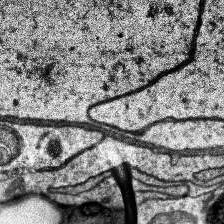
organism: Human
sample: Temporal Lobe